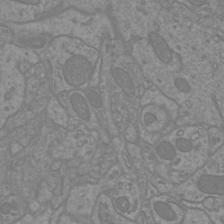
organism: Mouse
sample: Cortical neurons